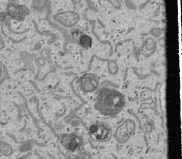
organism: Human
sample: Mitochondria in U2OS cells